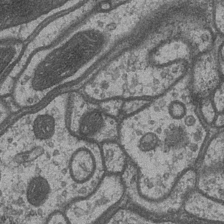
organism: Drosophila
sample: Optic medulla